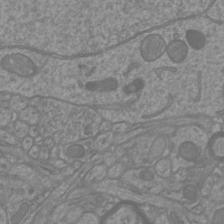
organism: Mouse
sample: Cortical neurons